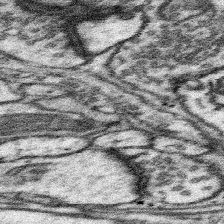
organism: Mouse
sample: Somatosensory cortex neuropil